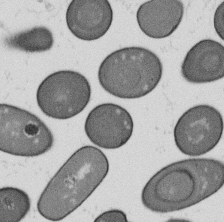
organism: B. subtilis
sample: Bacterial spore